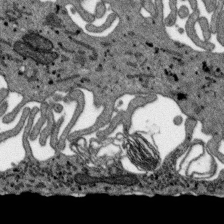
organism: Human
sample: Lung epithelial cells, uninfected (mock) control